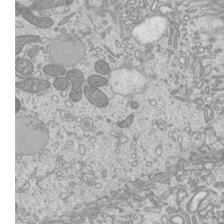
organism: Mouse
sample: Cilia; mouse epididymis